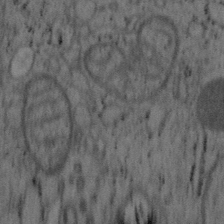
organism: Human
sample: HeLa cells